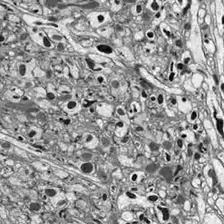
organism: Drosophila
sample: Optic lobe